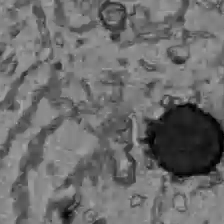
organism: C57BL Mouse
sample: Liver